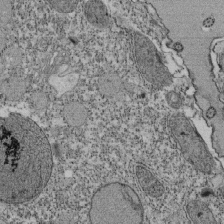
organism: Tetrahymena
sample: Cilia in tetrahymena